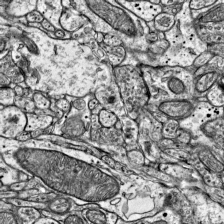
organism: Mouse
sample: Visual Cortex